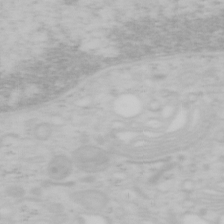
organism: Mouse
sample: OT-I killer T cells with ID8 ovarian cancer cells